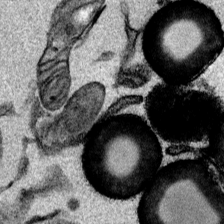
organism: Mouse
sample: Cancer cell death in ED-1 cells